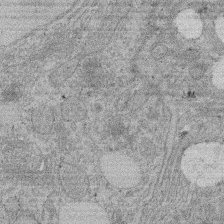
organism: Rat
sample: Salivary granule